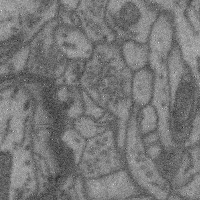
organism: Mouse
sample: Cerebral cortex